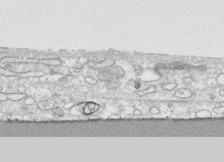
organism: Human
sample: CRL-1474